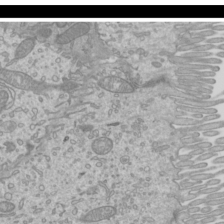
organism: Mouse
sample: Cilia; mouse epididymis